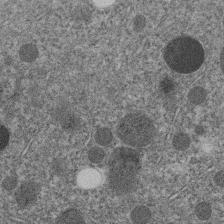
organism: C. elegans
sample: C. elegans embryo early stage